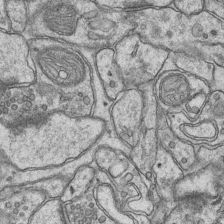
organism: Mouse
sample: CA1 Hippocampus